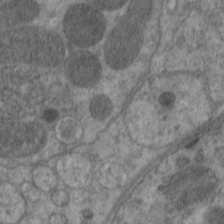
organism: C. elegans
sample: Pharynx